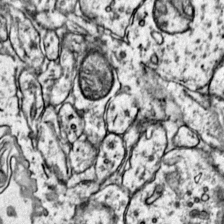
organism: Mouse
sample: Primary visual cortex